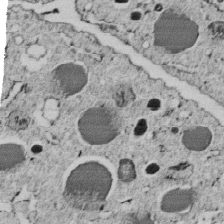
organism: C. elegans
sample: C. elegans embryo early stage